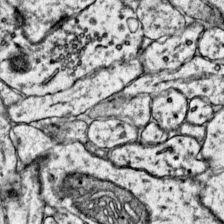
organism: Mouse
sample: Primary visual cortex